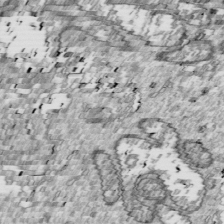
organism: Drosophila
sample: Cell division; meiosis; drosophila spermatocytes